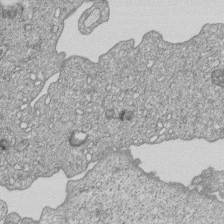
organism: Human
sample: MDA-MB-231 cells